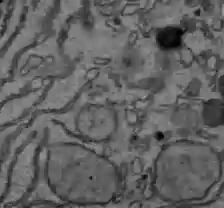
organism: C57BL Mouse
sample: Liver